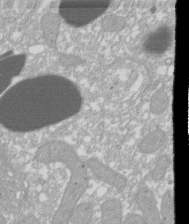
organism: Xenopus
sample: Cilia; centrioles in frog embryo cells